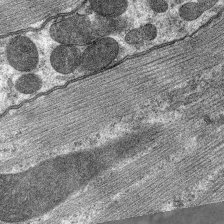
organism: C. elegans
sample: Pharynx